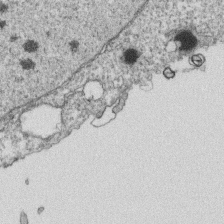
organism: Human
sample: HeLa cell HIV synapse